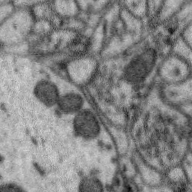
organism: Zebra finch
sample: Brain